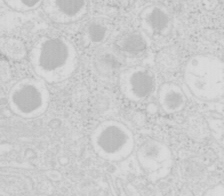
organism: Mouse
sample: Pancreas